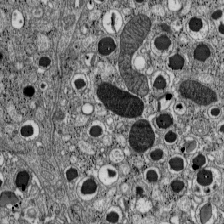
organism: C57BL Mouse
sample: Pancreatic islet